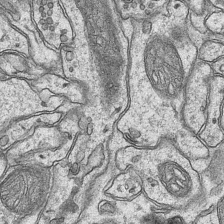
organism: Mouse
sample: CA1 Hippocampus